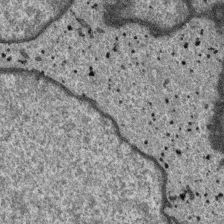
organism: Human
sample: Lung epithelial cells, uninfected (mock) control